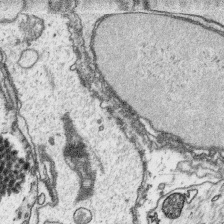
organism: Platynereis dumerilii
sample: Parapodia